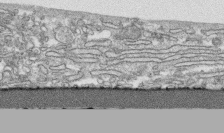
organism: Human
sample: CRL-1474